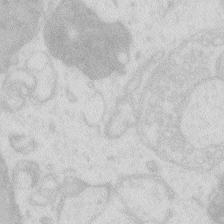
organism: Zebrafish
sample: Macrophage